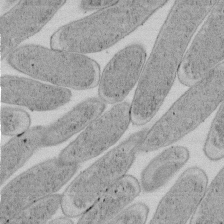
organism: E. coli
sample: Bacterial nucleoid